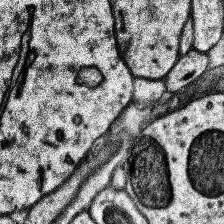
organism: Human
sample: Temporal Lobe